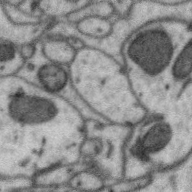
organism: Zebra finch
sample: Brain